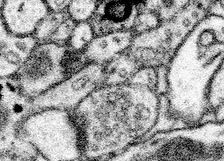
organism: Mouse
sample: Somatosensory cortex neuropil